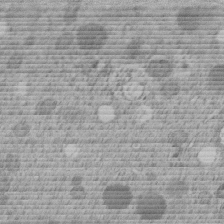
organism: C. elegans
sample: C. elegans embryo early stage